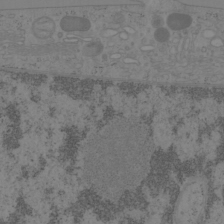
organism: Human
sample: HeLa cells